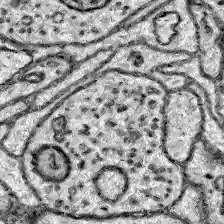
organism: Zebrafish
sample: Brain